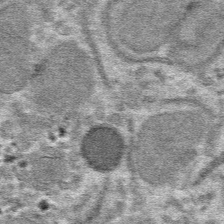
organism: Mouse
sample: Mouse hepatocytes